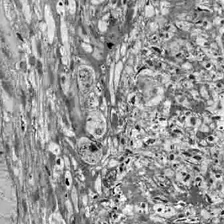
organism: Drosophila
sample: Optic lobe